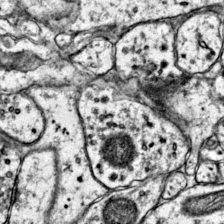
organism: Mouse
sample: Primary visual cortex